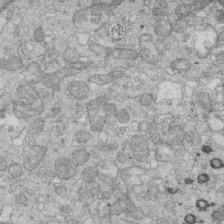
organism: Mouse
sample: Multiciliated cells